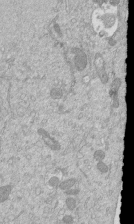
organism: Mouse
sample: ED-1 cell nuclei; centrioles